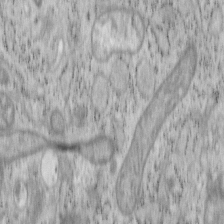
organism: Human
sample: HeLa cells